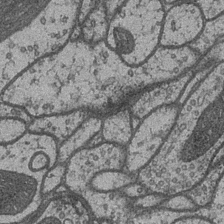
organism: Drosophila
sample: Optic medulla